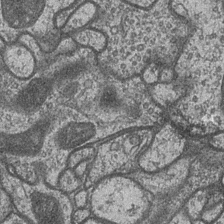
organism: Drosophila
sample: Optic medulla